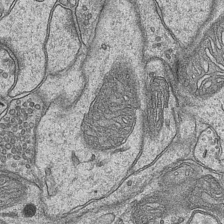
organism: Mouse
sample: CA1 Hippocampus